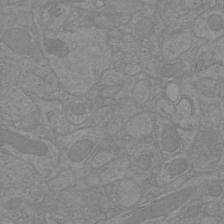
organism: Mouse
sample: Cortical neurons